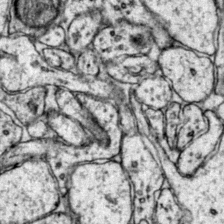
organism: Mouse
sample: Primary visual cortex